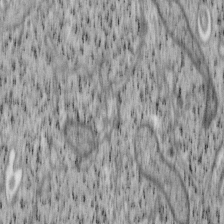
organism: Human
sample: HeLa cells